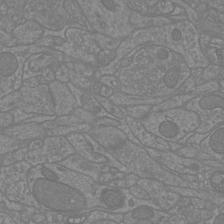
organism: Mouse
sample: Cortical neurons